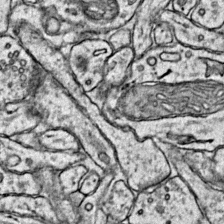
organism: Mouse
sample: Primary visual cortex